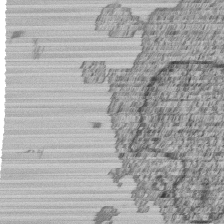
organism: Human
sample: MDA-MB-231 cells